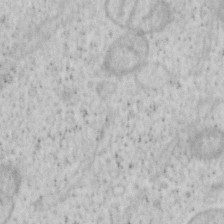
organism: Human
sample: HeLa cells